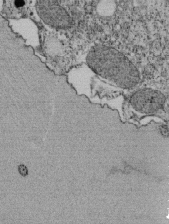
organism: Tetrahymena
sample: Cilia in tetrahymena